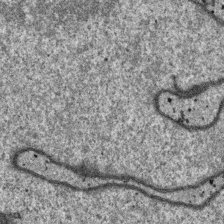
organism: Human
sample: Lung epithelial cells, uninfected (mock) control